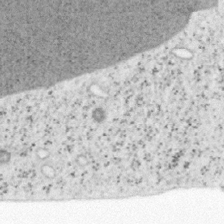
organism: Mouse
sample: OT-I killer T cells with ID8 ovarian cancer cells